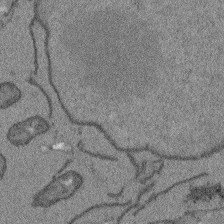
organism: Arabidopsis thaliana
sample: Root tip